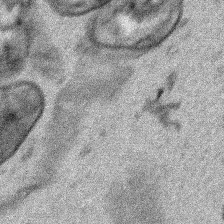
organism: Human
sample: Mitochondria in HCT116 cells